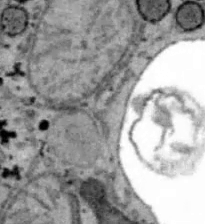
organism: Mouse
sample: Liver from an obese (ob/ob) mouse